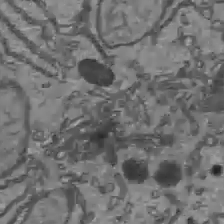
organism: C57BL Mouse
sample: Liver